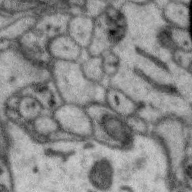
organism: Zebra finch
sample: Brain